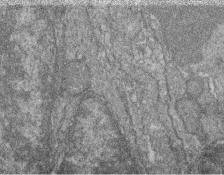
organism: Zebrafish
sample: Cilia; retinal pigment epithelium